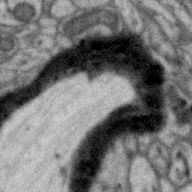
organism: Zebra finch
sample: Brain